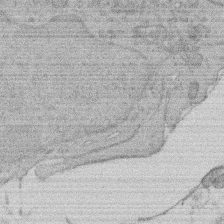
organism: Rat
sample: Salivary granule